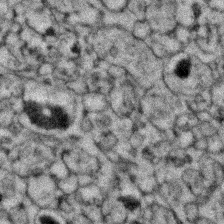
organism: Zebrafish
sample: Zebrafish embryo